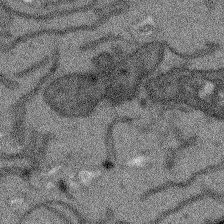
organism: Arabidopsis thaliana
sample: Root tip